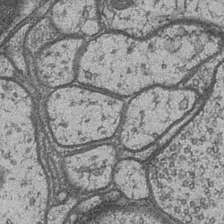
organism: Drosophila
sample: Optic medulla